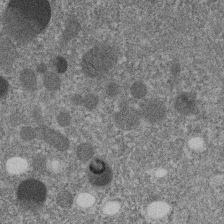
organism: C. elegans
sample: C. elegans embryo early stage